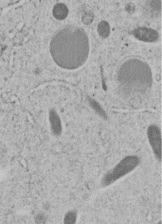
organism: C. elegans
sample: C. elegans embryo early stage